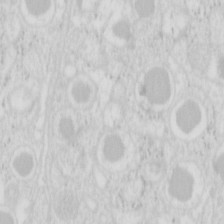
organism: Mouse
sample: Pancreas